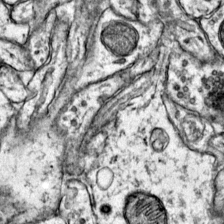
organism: Mouse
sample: Primary visual cortex